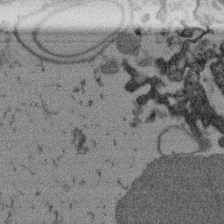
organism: Mouse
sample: Dividing mouse embryo 1 cell stage